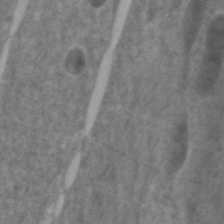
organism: Zebrafish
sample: Zebrafish embryo